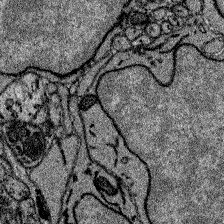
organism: Zebrafish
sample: Larval olfactory bulb